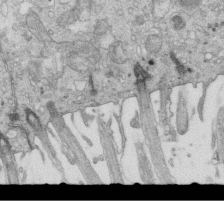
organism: Mouse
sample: Multiciliated cells